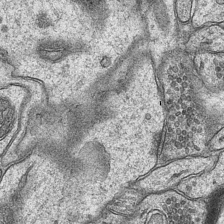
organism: Mouse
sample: CA1 Hippocampus